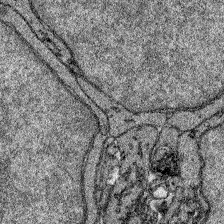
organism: Zebrafish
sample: Larval olfactory bulb